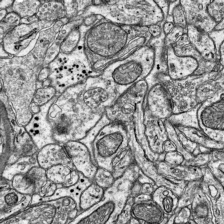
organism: Mouse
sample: Visual Cortex